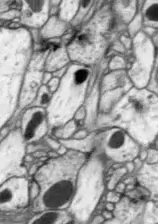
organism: Drosophila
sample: Optic lobe